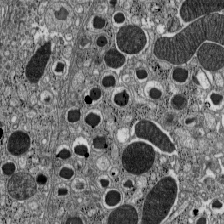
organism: C57BL Mouse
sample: Pancreatic islet